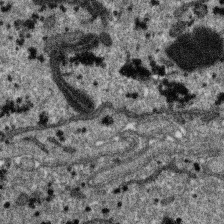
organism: Human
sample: Lung epithelial cells infected with SARS-CoV-2